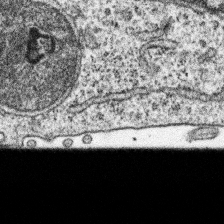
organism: Human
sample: HeLa cells